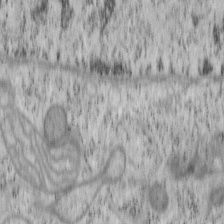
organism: Human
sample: HeLa cells